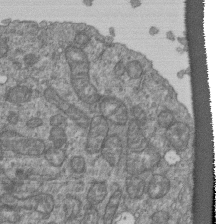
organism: Human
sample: Retinal organoid Rod and Cone cells